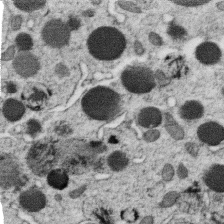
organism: C. elegans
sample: C. elegans oocyte; sperm cells